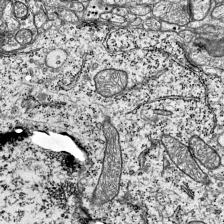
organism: Mouse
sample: Visual Cortex